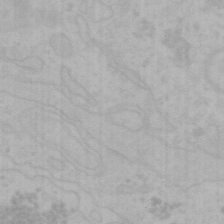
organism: Mouse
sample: Choroid plexus